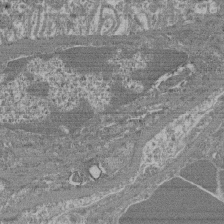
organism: Mouse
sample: Glomerulus